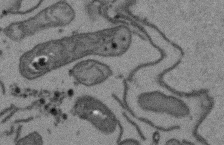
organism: Arabidopsis thaliana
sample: Root tip